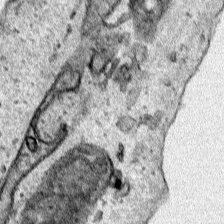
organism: Human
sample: Mitochondria in HCT116 cells